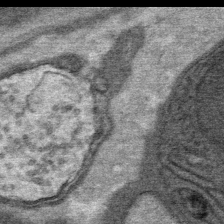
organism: Mouse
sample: Mouse Salivary gland